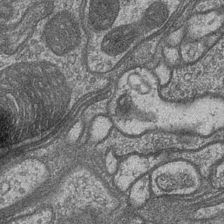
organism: Drosophila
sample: Optic medulla